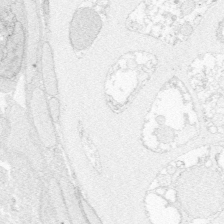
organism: Zebrafish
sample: Whole-Brain